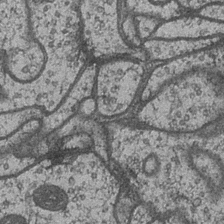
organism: Drosophila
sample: Optic medulla